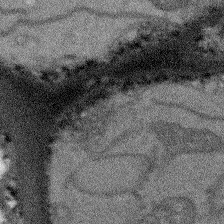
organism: Arabidopsis thaliana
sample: Root tip